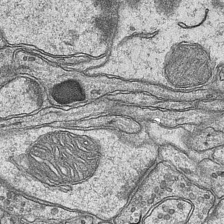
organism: Mouse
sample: CA1 Hippocampus